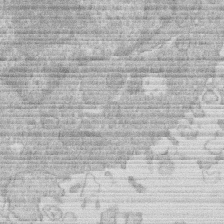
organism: Human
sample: Macrophage cells